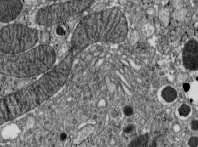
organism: C57BL Mouse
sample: Pancreatic islet